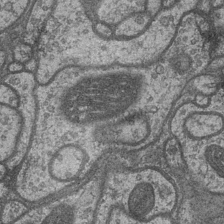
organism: Drosophila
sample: Optic medulla